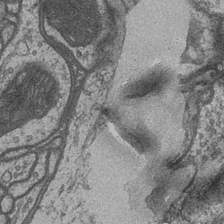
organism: Drosophila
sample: Optic medulla